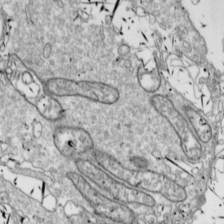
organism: Drosophila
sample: Cell division; meiosis; drosophila spermatocytes